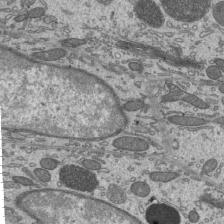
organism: Mouse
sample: Mouse epididymis efferent ductule cilia